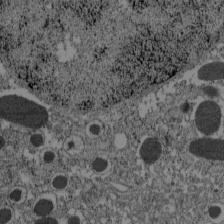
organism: C57BL Mouse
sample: Pancreatic islet